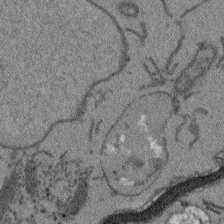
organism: Arabidopsis thaliana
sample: Root tip